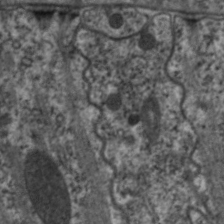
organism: C. elegans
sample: Pharynx